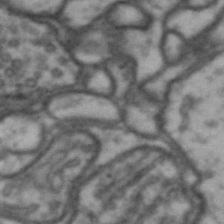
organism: Drosophila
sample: Brain